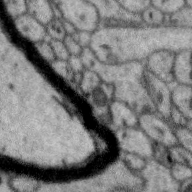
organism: Zebra finch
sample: Brain